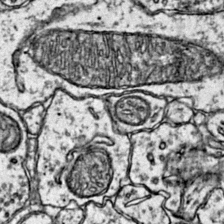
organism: Mouse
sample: Primary visual cortex